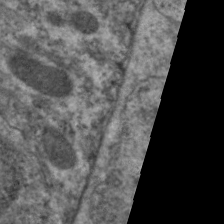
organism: C. elegans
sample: Pharynx